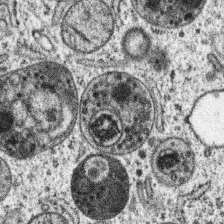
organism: Human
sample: HeLa cells